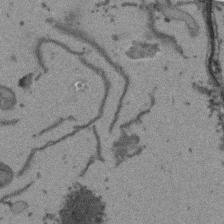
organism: Arabidopsis thaliana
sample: Root tip